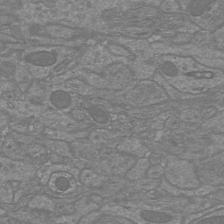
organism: Mouse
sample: Cortical neurons